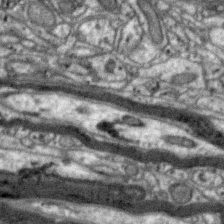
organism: Zebra finch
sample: Brain